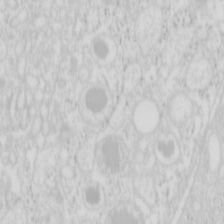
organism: Mouse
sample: Pancreas